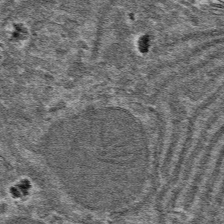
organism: Mouse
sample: Mouse hepatocytes